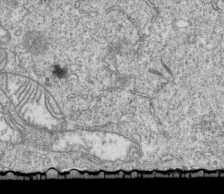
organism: Human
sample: HeLa cell HIV synapse